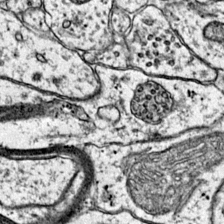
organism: Mouse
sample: Primary visual cortex